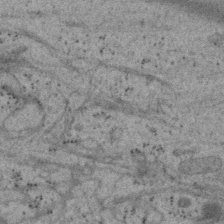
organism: Human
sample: HeLa cells